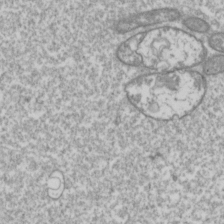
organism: Drosophila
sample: Cell division; meiosis; drosophila spermatocytes